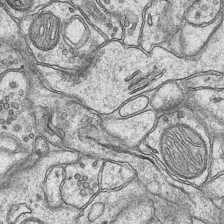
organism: Mouse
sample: CA1 Hippocampus